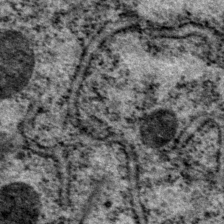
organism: P. pacificus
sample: Pharynx